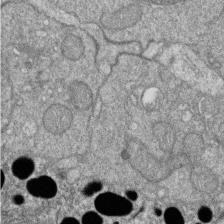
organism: Zebrafish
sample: Cilia; retinal pigment epithelium